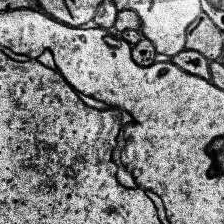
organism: Human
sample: Temporal Lobe